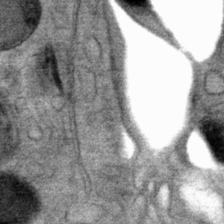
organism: Mouse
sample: Mouse Salivary gland